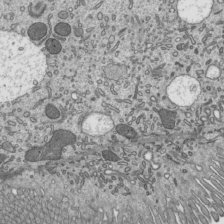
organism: Mouse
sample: Mouse epididymis efferent ductule cilia